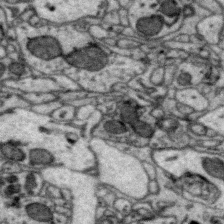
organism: Zebra finch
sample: Brain